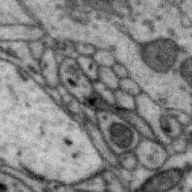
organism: Zebra finch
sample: Brain